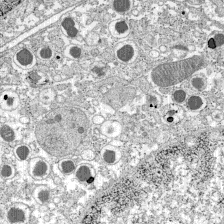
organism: C57BL Mouse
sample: Pancreatic islet